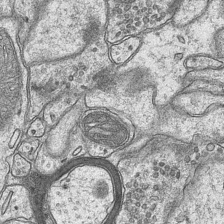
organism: Mouse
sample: CA1 Hippocampus